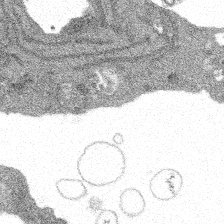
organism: Spongilla lacustris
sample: Multiple